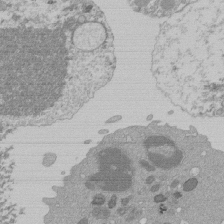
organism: Mouse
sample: Activated Pmel transgenic CD8+ T Cells